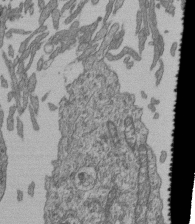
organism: Human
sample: Retinal organoid Rod and Cone cells